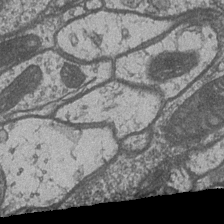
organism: Drosophila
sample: Optic medulla